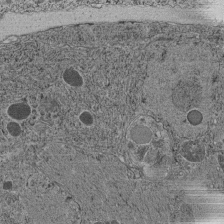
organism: C. elegans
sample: C. elegans pharynx